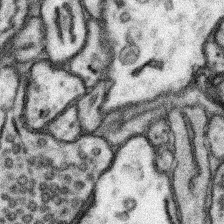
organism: Mouse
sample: Somatosensory cortex neuropil